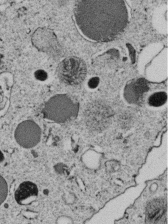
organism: C. elegans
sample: C. elegans embryo early stage